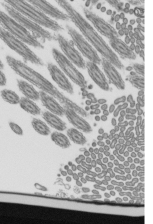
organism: Mouse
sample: Mouse epididymis efferent ductule cilia